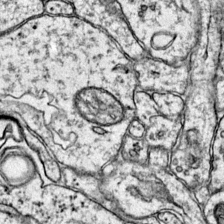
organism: Mouse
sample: Primary visual cortex